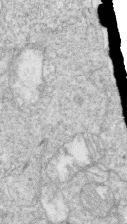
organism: Human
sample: HeLa cell HIV synapse